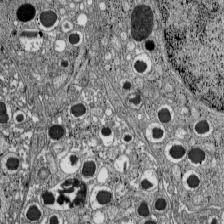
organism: C57BL Mouse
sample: Pancreatic islet